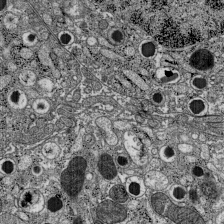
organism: C57BL Mouse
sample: Pancreatic islet